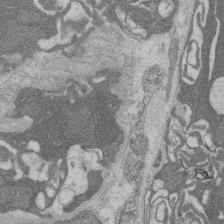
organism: Rat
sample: Salivary granule